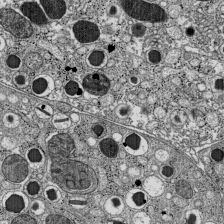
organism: C57BL Mouse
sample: Pancreatic islet